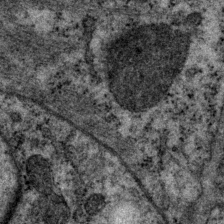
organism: P. pacificus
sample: Pharynx